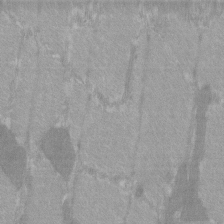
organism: C57BL Mouse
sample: Tibialis anterior muscle cell